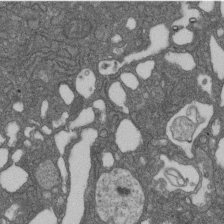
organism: Drosophila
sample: Nephrocyte